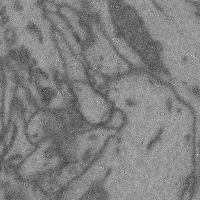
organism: Mouse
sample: Cerebral cortex